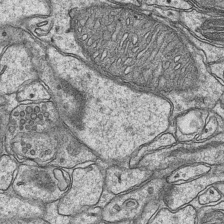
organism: Mouse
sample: CA1 Hippocampus